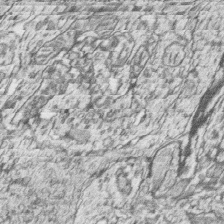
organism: Zebrafish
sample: synaptic ribbons in rod cells and cone cells